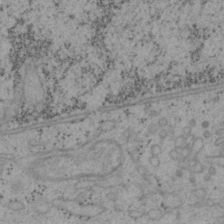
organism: Human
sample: HeLa cells